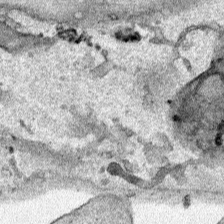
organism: Human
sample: Mitochondria in HCT116 cells